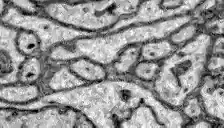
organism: Zebrafish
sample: Brain